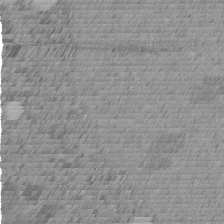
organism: C. elegans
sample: C. elegans embryo early stage